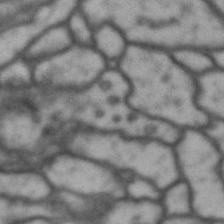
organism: Drosophila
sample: Brain